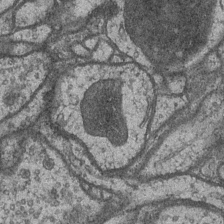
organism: Drosophila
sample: Optic medulla